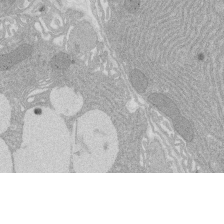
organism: Rat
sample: Salivary granule